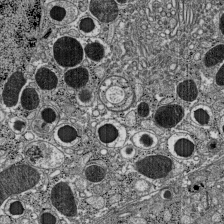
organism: C57BL Mouse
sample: Pancreatic islet